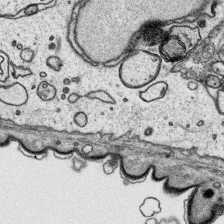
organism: Platynereis dumerilii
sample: Parapodia